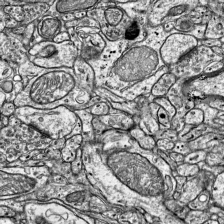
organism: Mouse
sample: Visual Cortex